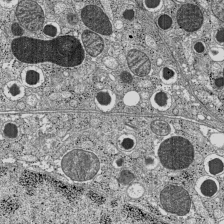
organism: C57BL Mouse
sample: Pancreatic islet